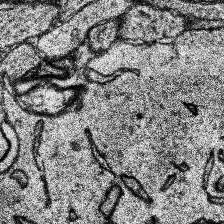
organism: Human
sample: Temporal Lobe